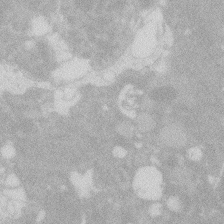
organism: Zebrafish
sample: Macrophage